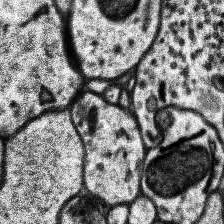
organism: Human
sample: Temporal Lobe